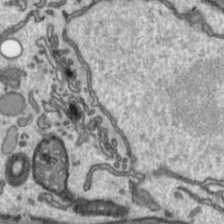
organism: Toxoplasma gondii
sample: Parasites in a vacuole inside a host cell